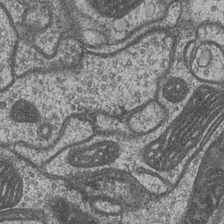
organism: Drosophila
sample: Optic medulla